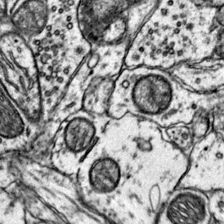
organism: Mouse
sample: Primary visual cortex